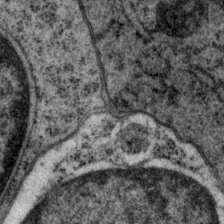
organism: P. pacificus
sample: Pharynx